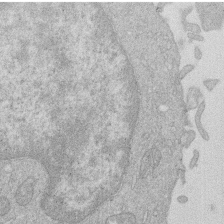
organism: Human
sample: Macrophage cells